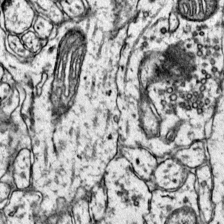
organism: Mouse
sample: Primary visual cortex